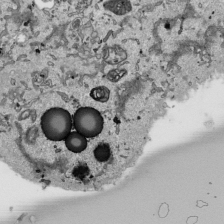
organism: Human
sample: Mitochondria in HCT116 cells